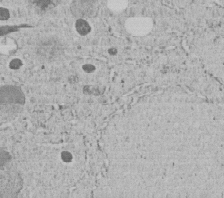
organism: C. elegans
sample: C. elegans embryo early stage